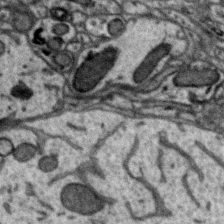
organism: Zebra finch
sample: Brain